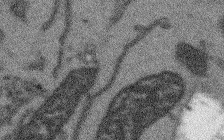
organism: Arabidopsis thaliana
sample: Root tip